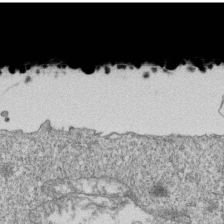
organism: Human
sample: HeLa cell HIV synapse